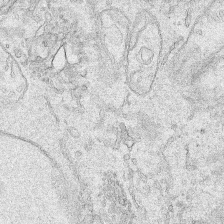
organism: Human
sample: Mitochondria in HCT116 cells